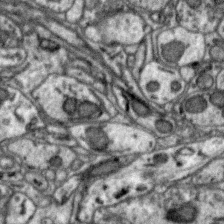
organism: Zebra finch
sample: Brain